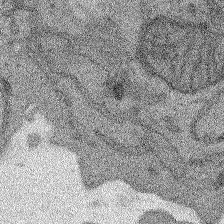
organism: Human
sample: HeLa cells